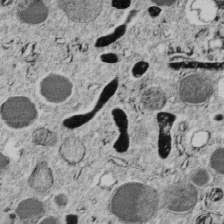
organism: C. elegans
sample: C. elegans embryo early stage